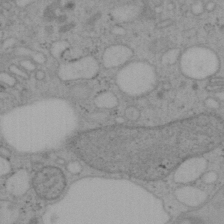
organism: Mouse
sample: OT-I killer T cells with ID8 ovarian cancer cells